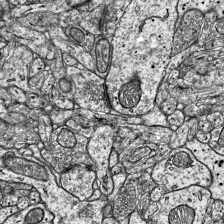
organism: Mouse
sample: Visual Cortex